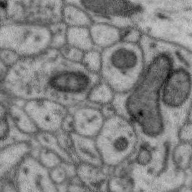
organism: Zebra finch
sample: Brain